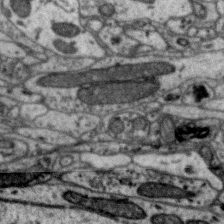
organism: Zebra finch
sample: Brain